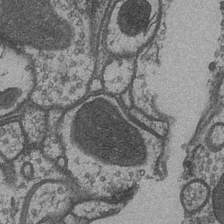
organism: Drosophila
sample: Optic medulla